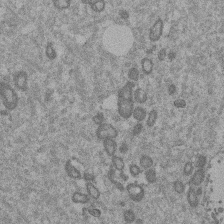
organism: Mouse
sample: Dividing mouse embryo 1 cell stage